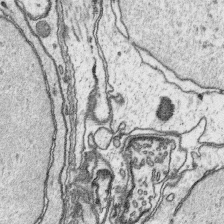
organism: Platynereis dumerilii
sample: Parapodia